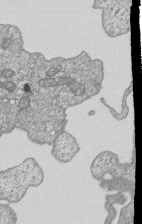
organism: Human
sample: MDA-MB-231 cells